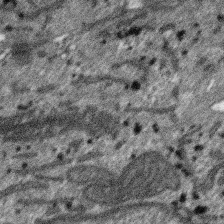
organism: Human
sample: Lung epithelial cells infected with SARS-CoV-2